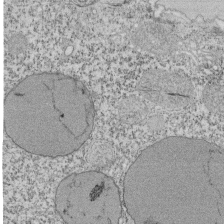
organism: Tetrahymena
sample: Cilia in tetrahymena